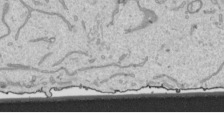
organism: Human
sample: Mitochondria in HCT116 cells